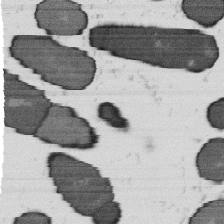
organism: B. subtilis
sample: Bacterial spore